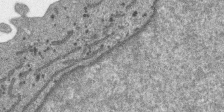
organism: Human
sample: Lung epithelial cells infected with SARS-CoV-2